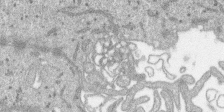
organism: Human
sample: Lung epithelial cells infected with SARS-CoV-2